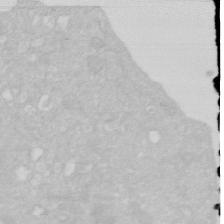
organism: Human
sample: HIV infected U937 cells